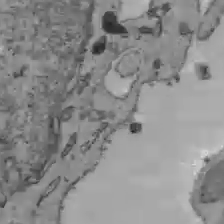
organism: C57BL Mouse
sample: Liver